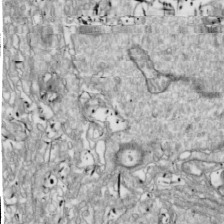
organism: Drosophila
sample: Cell division; meiosis; drosophila spermatocytes